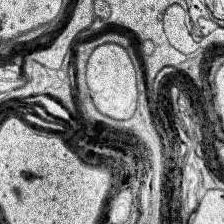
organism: Human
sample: Temporal Lobe